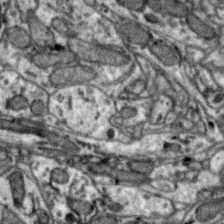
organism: Zebra finch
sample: Brain